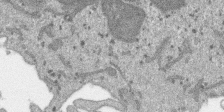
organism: Human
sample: Lung epithelial cells infected with SARS-CoV-2